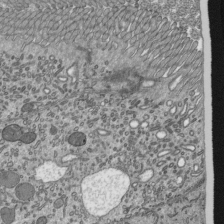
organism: Mouse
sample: Mouse epididymis efferent ductule cilia